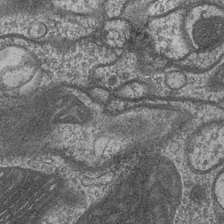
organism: Drosophila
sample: Optic medulla